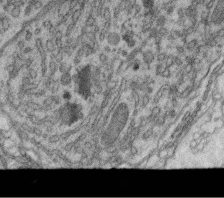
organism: C. elegans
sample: C. elegans oocyte; sperm cells